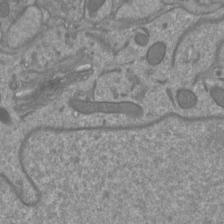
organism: Mouse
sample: Cortical neurons